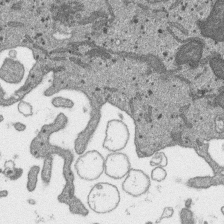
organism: Human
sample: Lung epithelial cells infected with SARS-CoV-2